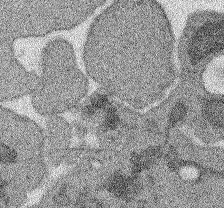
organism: Human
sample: HeLa cells